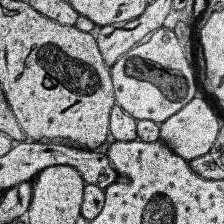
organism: Human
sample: Temporal Lobe